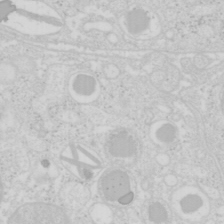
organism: Mouse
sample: Pancreas